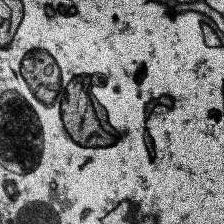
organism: Human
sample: Temporal Lobe